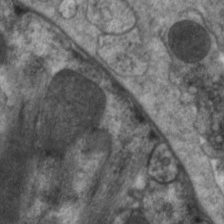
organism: C. elegans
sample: Pharynx